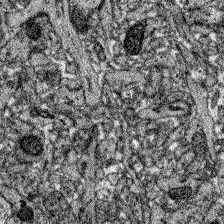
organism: Zebrafish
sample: Larval olfactory bulb